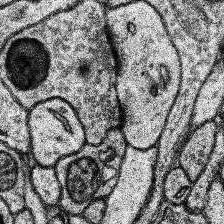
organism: Human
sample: Temporal Lobe